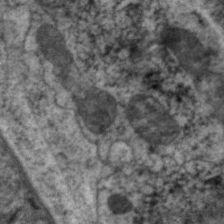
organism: C. elegans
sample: Pharynx